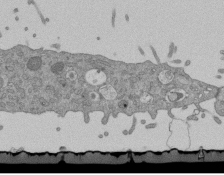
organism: Mouse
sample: ED-1 cell nuclei; centrioles